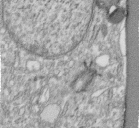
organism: Human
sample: Centriole in fibroblast cells